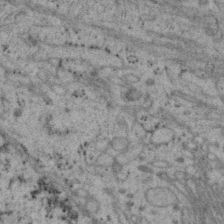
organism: Human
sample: HeLa cells